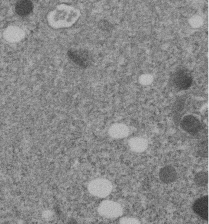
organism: C. elegans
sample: C. elegans embryo early stage